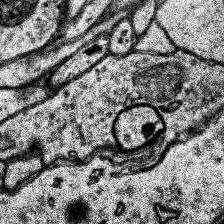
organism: Human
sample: Temporal Lobe